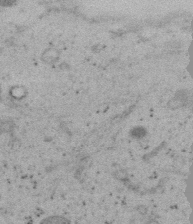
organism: Human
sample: HeLa cells